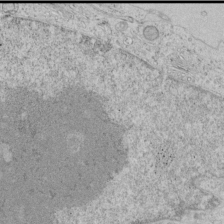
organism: Human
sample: Mitochondria in HCT116 cells